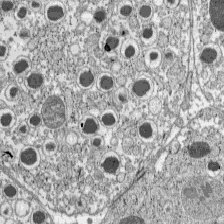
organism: C57BL Mouse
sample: Pancreatic islet